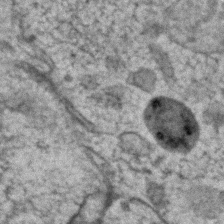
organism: Human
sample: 1205lu cells